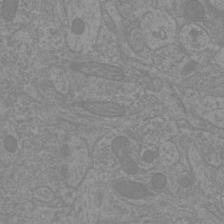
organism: Mouse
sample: Cortical neurons